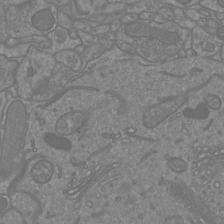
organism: Mouse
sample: Cortical neurons